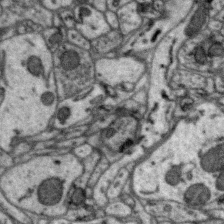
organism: Zebra finch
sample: Brain